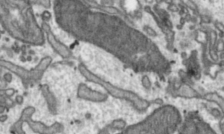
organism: Toxoplasma gondii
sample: Parasites in a vacuole inside a host cell